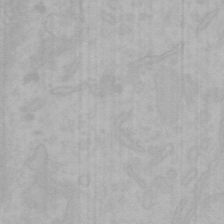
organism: Mouse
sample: Choroid plexus